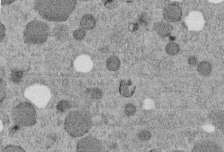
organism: C. elegans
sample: C. elegans embryo early stage